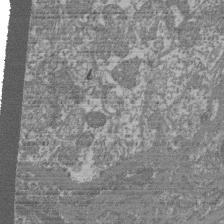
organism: Mouse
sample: Glomerulus